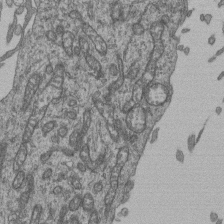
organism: Human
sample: Retinal organoid Rod and Cone cells